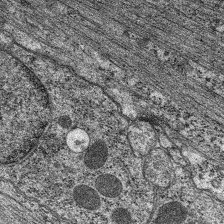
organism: C. elegans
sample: Pharynx